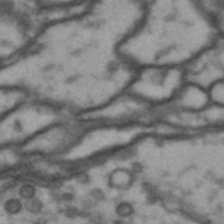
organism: Drosophila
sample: Brain